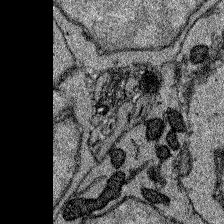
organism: Zebrafish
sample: Larval olfactory bulb